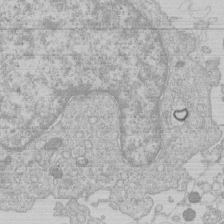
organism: Human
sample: Macrophage cells